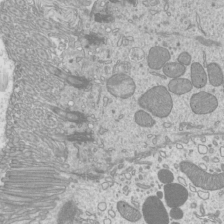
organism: Mouse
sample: Cilia; mouse epididymis